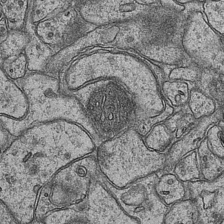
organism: Mouse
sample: CA1 Hippocampus